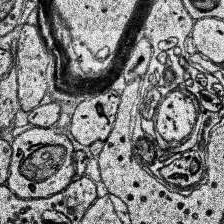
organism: Human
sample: Temporal Lobe